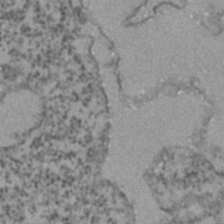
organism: Zebrafish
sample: Zebrafish embryo